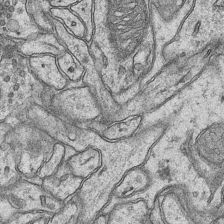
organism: Mouse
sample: CA1 Hippocampus